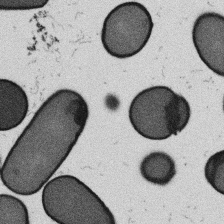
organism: B. subtilis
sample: Bacterial spore